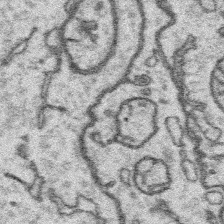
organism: Platynereis dumerilii